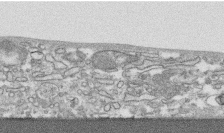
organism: Human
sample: CRL-1474